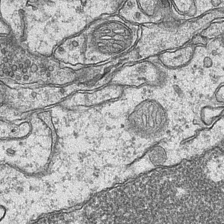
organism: Mouse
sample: CA1 Hippocampus